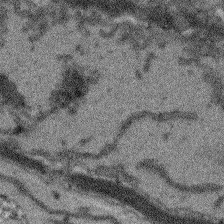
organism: Arabidopsis thaliana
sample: Root tip